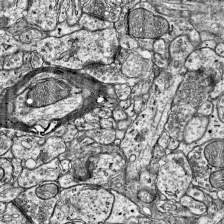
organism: Mouse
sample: Visual Cortex